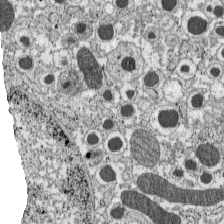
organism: C57BL Mouse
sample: Pancreatic islet